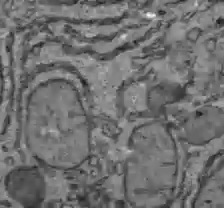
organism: C57BL Mouse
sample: Liver